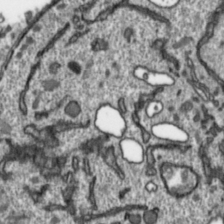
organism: Toxoplasma gondii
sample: Parasites in a vacuole inside a host cell